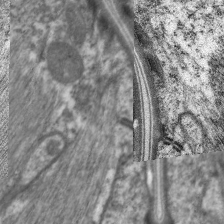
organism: C. elegans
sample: Pharynx